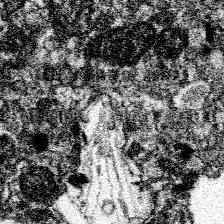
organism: Spongilla lacustris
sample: Neuroid cell